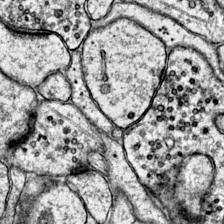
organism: Mouse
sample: Primary visual cortex